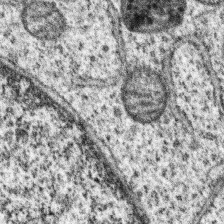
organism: Human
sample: HeLa cells